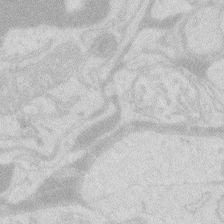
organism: Zebrafish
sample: Macrophage